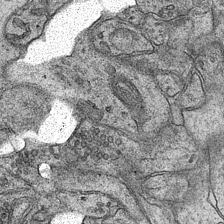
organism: Mouse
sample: CA1 Hippocampus